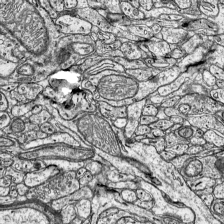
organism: Mouse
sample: Visual Cortex